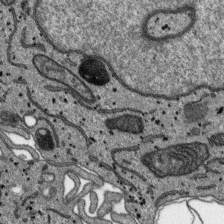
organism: Human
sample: Lung epithelial cells, uninfected (mock) control